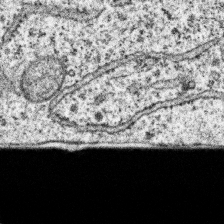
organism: Human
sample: HeLa cells